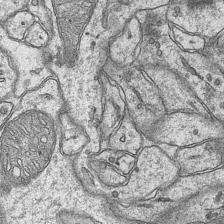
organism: Mouse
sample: CA1 Hippocampus